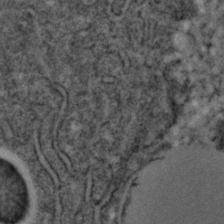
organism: C. elegans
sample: C. elegans embryo